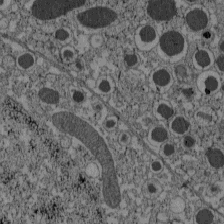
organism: C57BL Mouse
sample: Pancreatic islet